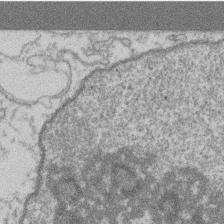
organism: Mouse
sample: T cell stromal cell synapse